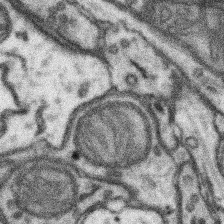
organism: Mouse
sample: Somatosensory cortex neuropil